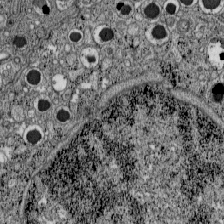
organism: C57BL Mouse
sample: Pancreatic islet